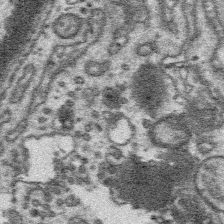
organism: Platynereis dumerilii